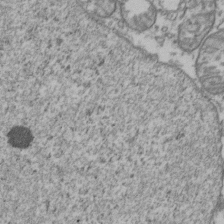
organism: Human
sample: Activated Jurkat CD4+ T cells